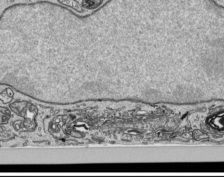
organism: Human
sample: Mitochondria in HCT116 cells